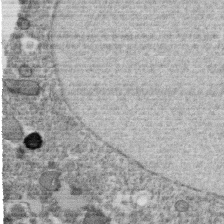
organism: C. elegans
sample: C. elegans oocyte; sperm cells